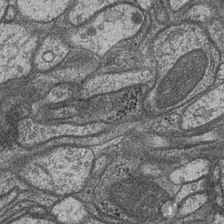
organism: Drosophila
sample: Optic medulla